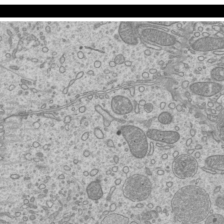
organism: Mouse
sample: Cilia; mouse epididymis